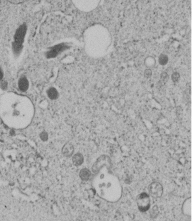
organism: C. elegans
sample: C. elegans embryo early stage